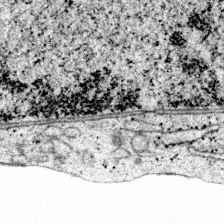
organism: Human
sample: HeLa cells